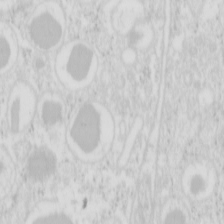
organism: Mouse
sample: Pancreas